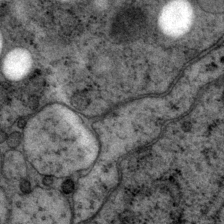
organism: P. pacificus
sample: Pharynx